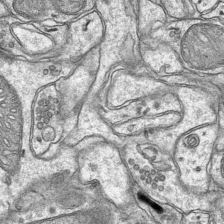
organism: Mouse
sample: CA1 Hippocampus